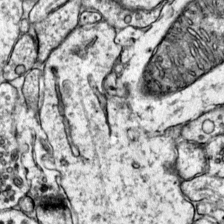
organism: Mouse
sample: Primary visual cortex